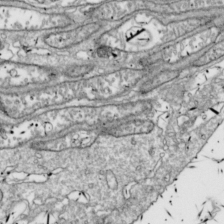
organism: Drosophila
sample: Cell division; meiosis; drosophila spermatocytes